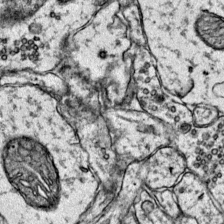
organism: Mouse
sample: Primary visual cortex